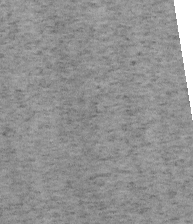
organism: Mouse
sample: OT-I killer T cells with ID8 ovarian cancer cells